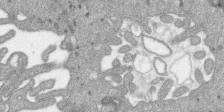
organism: Human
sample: Lung epithelial cells infected with SARS-CoV-2